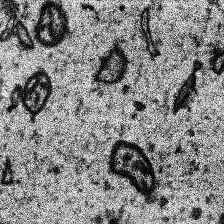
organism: Human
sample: Temporal Lobe